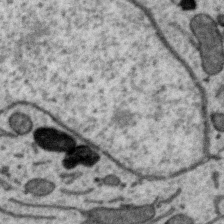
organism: Zebra finch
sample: Brain